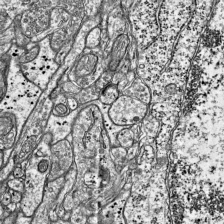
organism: Mouse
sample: Visual Cortex